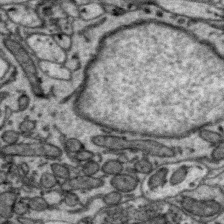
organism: Zebra finch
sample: Brain